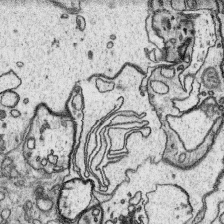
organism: Platynereis dumerilii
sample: Parapodia